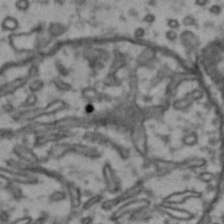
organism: Drosophila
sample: Brain